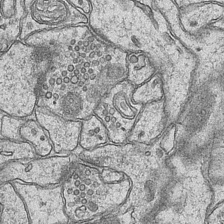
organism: Mouse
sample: CA1 Hippocampus